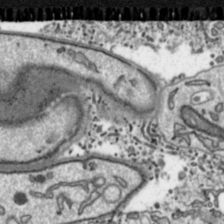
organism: Toxoplasma gondii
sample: Parasites in a vacuole inside a host cell